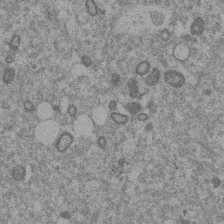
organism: Mouse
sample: Dividing mouse embryo 1 cell stage